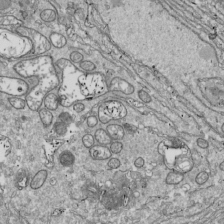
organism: Drosophila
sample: Cell division; meiosis; drosophila spermatocytes